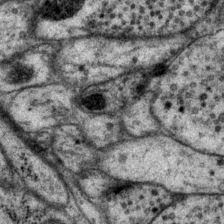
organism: P. pacificus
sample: Pharynx